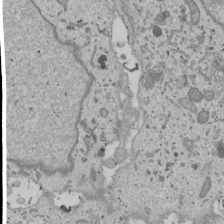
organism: Human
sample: Mitochondria in U2OS cells